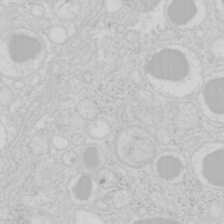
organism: Mouse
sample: Pancreas